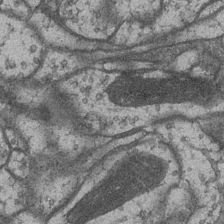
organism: Drosophila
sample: Optic medulla